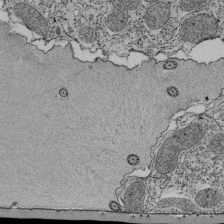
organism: Tetrahymena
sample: Cilia in tetrahymena